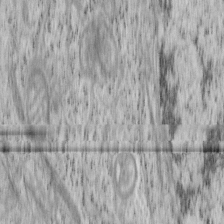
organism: Human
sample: HeLa cells